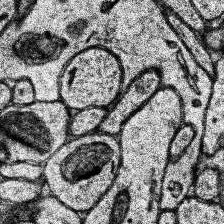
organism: Human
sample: Temporal Lobe